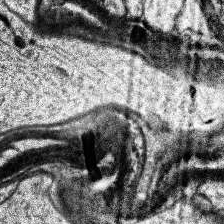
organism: Human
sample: Temporal Lobe